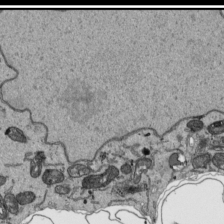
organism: Human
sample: Mitochondria in HCT116 cells